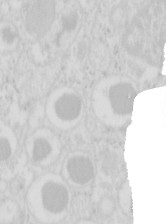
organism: Mouse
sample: Pancreas